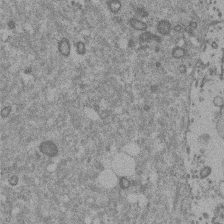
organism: Mouse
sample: Dividing mouse embryo 1 cell stage